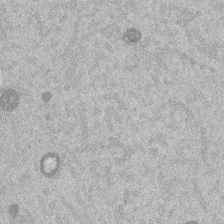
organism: Mouse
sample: Dividing mouse embryo 1 cell stage